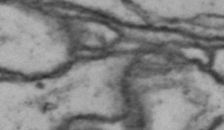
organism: Drosophila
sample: Brain